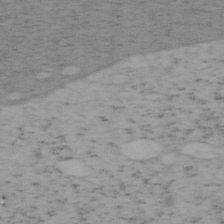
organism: Mouse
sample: OT-I killer T cells with ID8 ovarian cancer cells